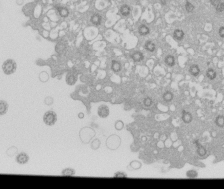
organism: Xenopus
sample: Cilia; centrioles in frog embryo cells